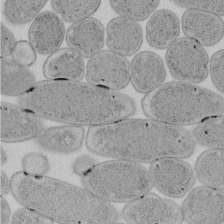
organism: E. coli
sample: Bacterial nucleoid